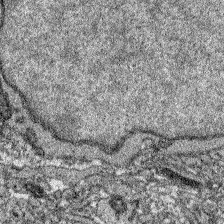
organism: Zebrafish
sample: Larval olfactory bulb